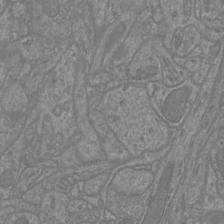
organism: Mouse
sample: Cortical neurons